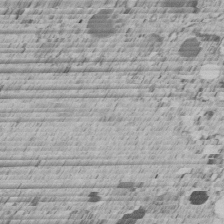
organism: C. elegans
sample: C. elegans embryo early stage